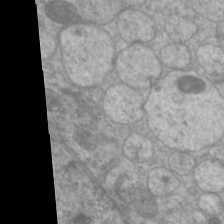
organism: C. elegans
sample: Pharynx